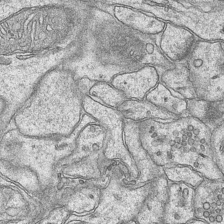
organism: Mouse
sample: CA1 Hippocampus